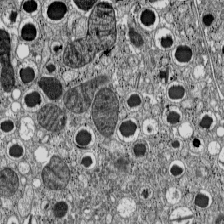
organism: C57BL Mouse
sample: Pancreatic islet